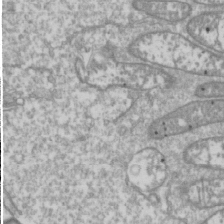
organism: Drosophila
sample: Cell division; meiosis; drosophila spermatocytes